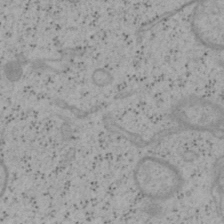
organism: Human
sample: HeLa cells